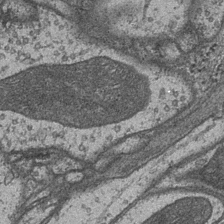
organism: Drosophila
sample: Optic medulla